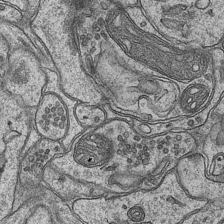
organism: Mouse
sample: CA1 Hippocampus